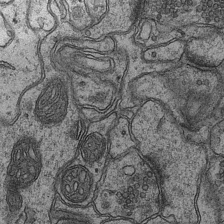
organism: Mouse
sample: CA1 Hippocampus